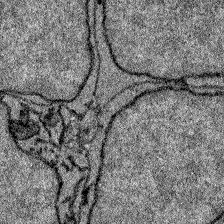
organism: Zebrafish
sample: Larval olfactory bulb